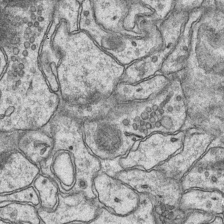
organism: Mouse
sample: CA1 Hippocampus